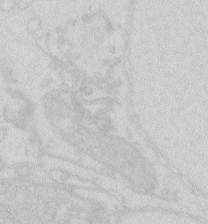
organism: Zebrafish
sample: Macrophage